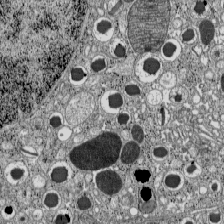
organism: C57BL Mouse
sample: Pancreatic islet